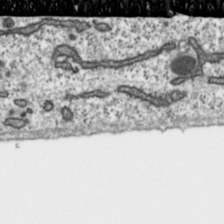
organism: Toxoplasma gondii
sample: Parasites in a vacuole inside a host cell